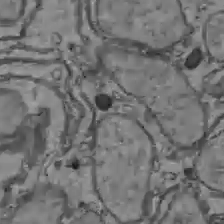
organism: C57BL Mouse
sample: Liver